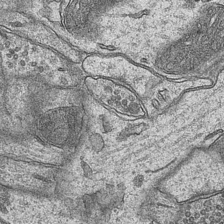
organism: Mouse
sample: CA1 Hippocampus